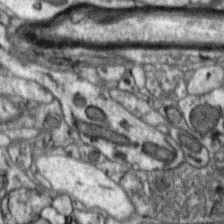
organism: Zebra finch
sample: Brain